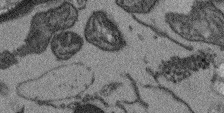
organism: Arabidopsis thaliana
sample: Root tip